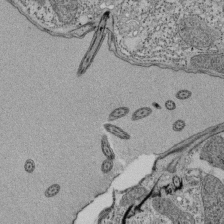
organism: Tetrahymena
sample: Cilia in tetrahymena